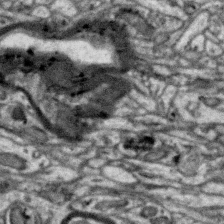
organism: Zebra finch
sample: Brain